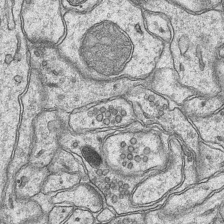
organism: Mouse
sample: CA1 Hippocampus